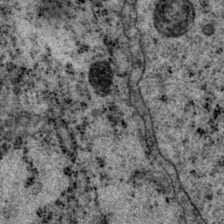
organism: P. pacificus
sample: Pharynx